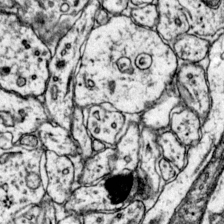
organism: Mouse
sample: Primary visual cortex